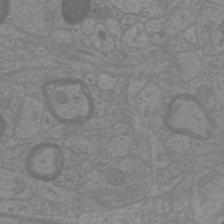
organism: Mouse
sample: Cortical neurons